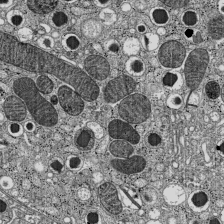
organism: C57BL Mouse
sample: Pancreatic islet